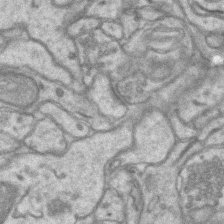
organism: Mouse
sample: CA1 Hippocampus